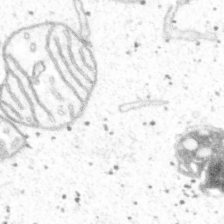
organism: Human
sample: HeLa cells